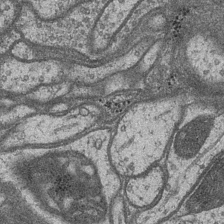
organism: Drosophila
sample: Optic medulla